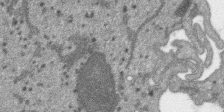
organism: Human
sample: Lung epithelial cells infected with SARS-CoV-2